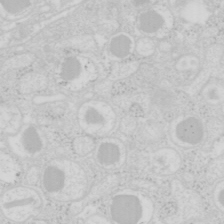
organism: Mouse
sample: Pancreas